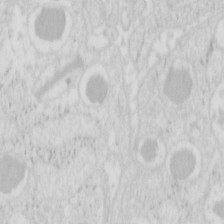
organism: Mouse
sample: Pancreas